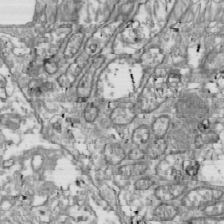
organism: Drosophila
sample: Cell division; meiosis; drosophila spermatocytes